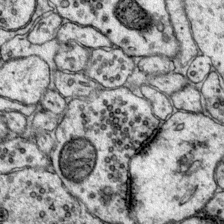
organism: Mouse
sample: Primary visual cortex